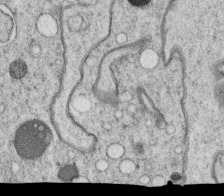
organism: C. elegans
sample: C. elegans oocyte; sperm cells